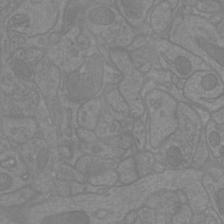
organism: Mouse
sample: Cortical neurons